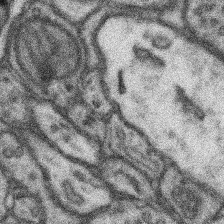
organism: Mouse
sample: Somatosensory cortex neuropil